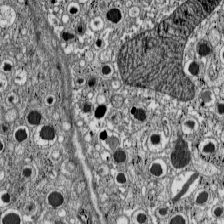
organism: C57BL Mouse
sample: Pancreatic islet